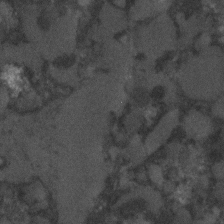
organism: C. elegans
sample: C. elegans embryo